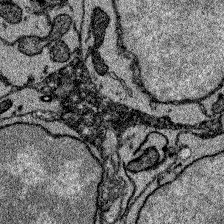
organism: Zebrafish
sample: Larval olfactory bulb